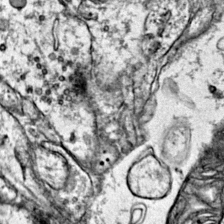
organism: Mouse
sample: Primary visual cortex